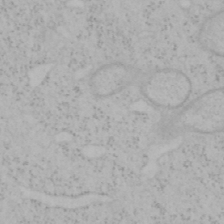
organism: Mouse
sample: OT-I killer T cells with ID8 ovarian cancer cells